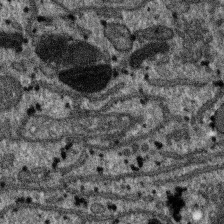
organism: Human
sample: Lung epithelial cells infected with SARS-CoV-2